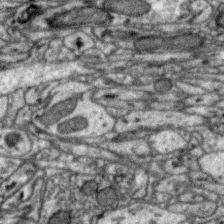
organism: Zebra finch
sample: Brain